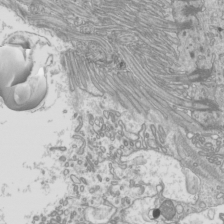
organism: Mouse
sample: Cilia; mouse epididymis